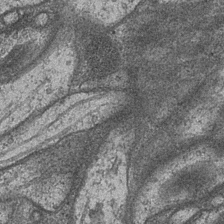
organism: Drosophila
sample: Optic medulla